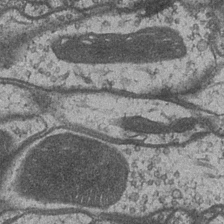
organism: Drosophila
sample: Optic medulla